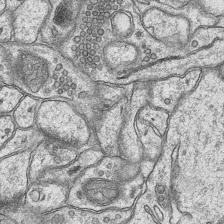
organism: Mouse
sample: CA1 Hippocampus